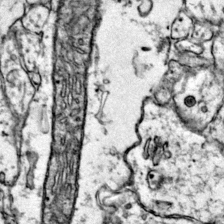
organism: Mouse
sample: Primary visual cortex